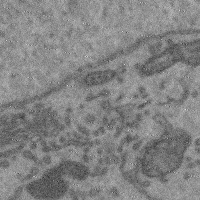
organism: Mouse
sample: Cerebral cortex